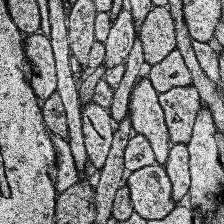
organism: Human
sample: Temporal Lobe